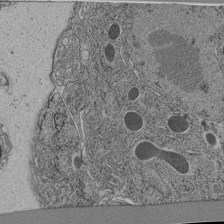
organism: C. elegans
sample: C. elegans pharynx